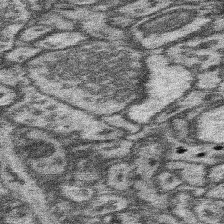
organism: Mouse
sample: Somatosensory cortex neuropil